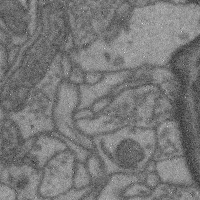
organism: Mouse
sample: Cerebral cortex